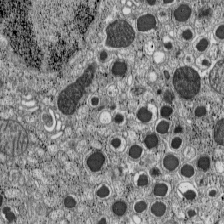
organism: C57BL Mouse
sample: Pancreatic islet